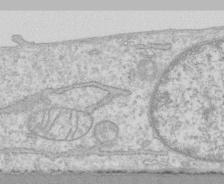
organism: Human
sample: CRL-1474